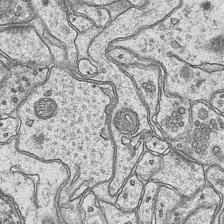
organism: Mouse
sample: CA1 Hippocampus